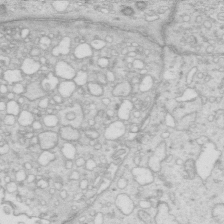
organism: Mouse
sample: Multiciliated cells